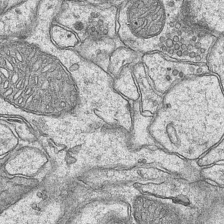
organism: Mouse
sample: CA1 Hippocampus